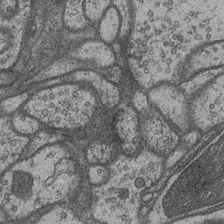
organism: Drosophila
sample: Optic medulla